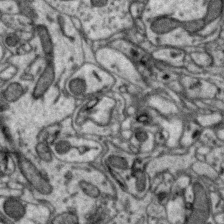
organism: Zebra finch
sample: Brain